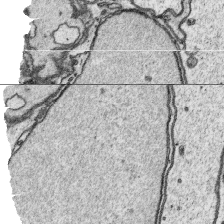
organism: Platynereis dumerilii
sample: Parapodia